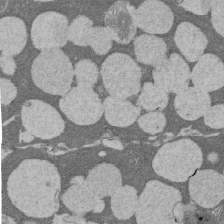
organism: Rat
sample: Salivary granule